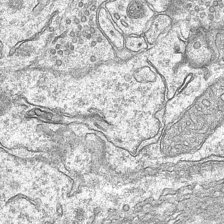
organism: Mouse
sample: CA1 Hippocampus